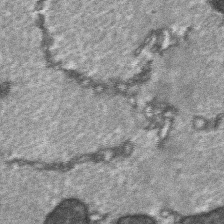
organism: C57BL Mouse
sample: Soleus